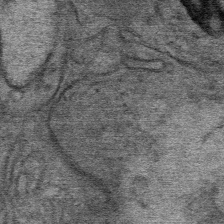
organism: Mouse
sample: Mouse Salivary gland